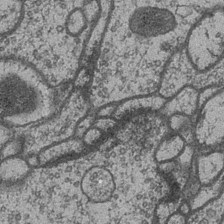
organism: Drosophila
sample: Optic medulla